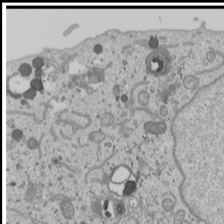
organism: Human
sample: Mitochondria in U2OS cells